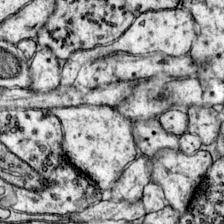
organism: Mouse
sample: Primary visual cortex